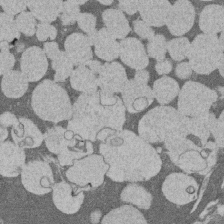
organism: Rat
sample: Salivary granule